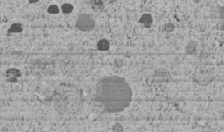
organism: C. elegans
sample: C. elegans embryo early stage